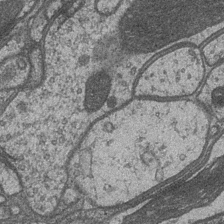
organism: Drosophila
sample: Optic medulla